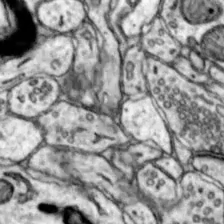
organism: Mouse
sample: Nucleus accumbens